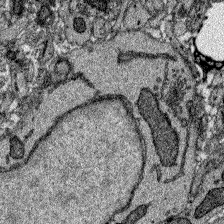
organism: Zebrafish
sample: Larval olfactory bulb